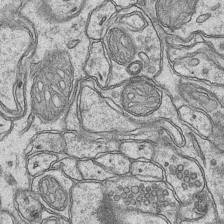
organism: Mouse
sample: CA1 Hippocampus